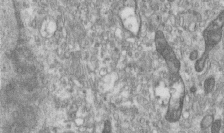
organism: Human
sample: Centriole in RPE cells